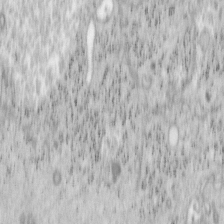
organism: Human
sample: HeLa cells